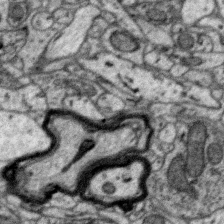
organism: Zebra finch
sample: Brain